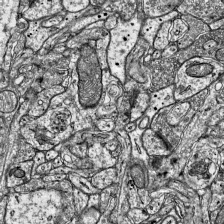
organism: Mouse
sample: Visual Cortex